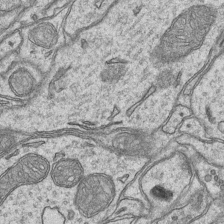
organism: Mouse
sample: CA1 Hippocampus